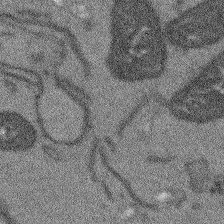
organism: Arabidopsis thaliana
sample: Root tip